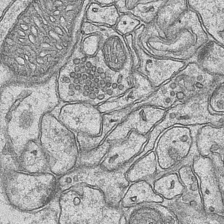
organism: Mouse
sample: CA1 Hippocampus